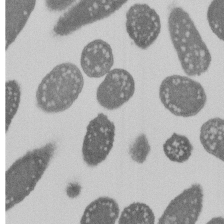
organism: E. coli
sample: Bacterial nucleoid